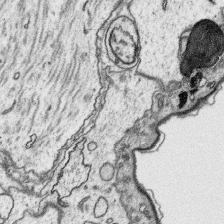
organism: Platynereis dumerilii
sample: Parapodia